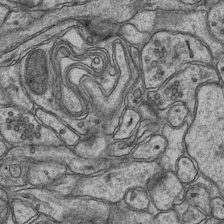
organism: Mouse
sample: CA1 Hippocampus